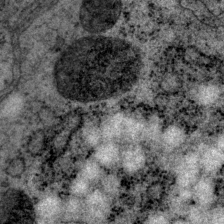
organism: P. pacificus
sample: Pharynx